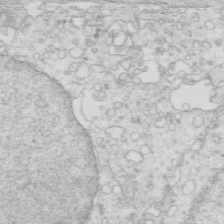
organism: Mouse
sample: Multiciliated cells